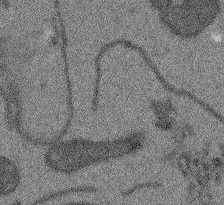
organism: Arabidopsis thaliana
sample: Root tip